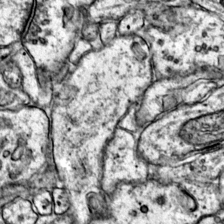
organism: Mouse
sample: Primary visual cortex